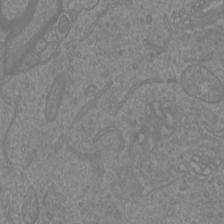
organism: Mouse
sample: Cortical neurons